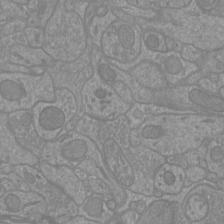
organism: Mouse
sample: Cortical neurons